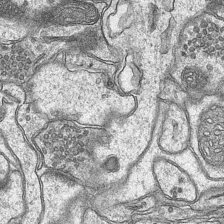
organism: Mouse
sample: CA1 Hippocampus